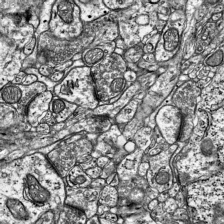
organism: Mouse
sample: Visual Cortex